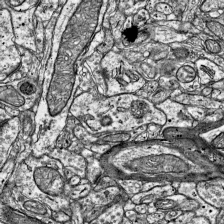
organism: Mouse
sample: Visual Cortex